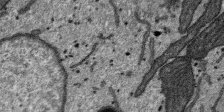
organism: Human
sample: Lung epithelial cells, uninfected (mock) control